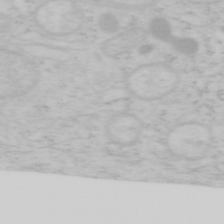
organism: Mouse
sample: OT-I killer T cells with ID8 ovarian cancer cells